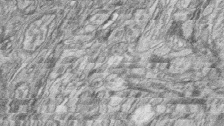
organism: Zebrafish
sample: synaptic ribbons in rod cells and cone cells